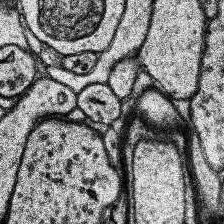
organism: Human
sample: Temporal Lobe